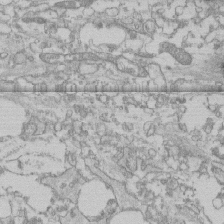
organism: Human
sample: CRL-1474